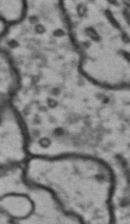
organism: Drosophila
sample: Brain